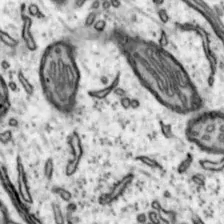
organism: Mouse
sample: Nucleus accumbens